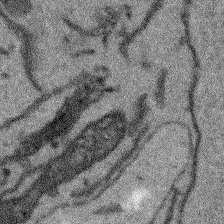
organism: Arabidopsis thaliana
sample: Root tip